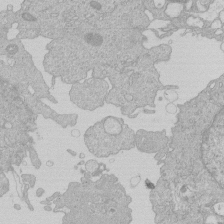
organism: Human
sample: Macrophage cells